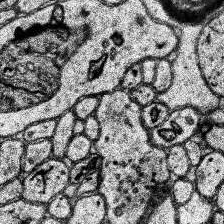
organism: Human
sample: Temporal Lobe